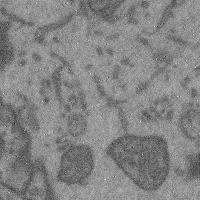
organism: Mouse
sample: Cerebral cortex